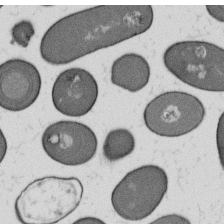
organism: B. subtilis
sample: Bacterial spore